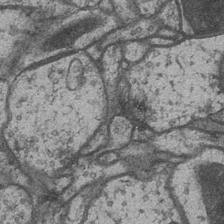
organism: Drosophila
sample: Optic medulla